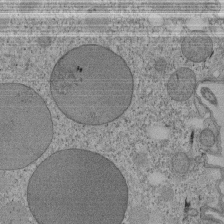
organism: Tetrahymena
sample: Cilia in tetrahymena